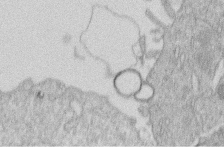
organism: Human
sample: Macrophage cells